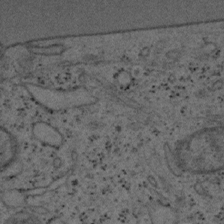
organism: Human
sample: HeLa cells